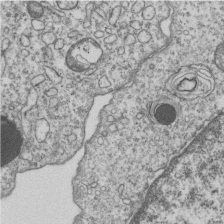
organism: Human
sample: MDA-MB-231 cells